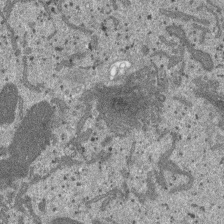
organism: Human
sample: Lung epithelial cells infected with SARS-CoV-2